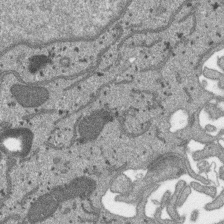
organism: Human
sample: Lung epithelial cells infected with SARS-CoV-2